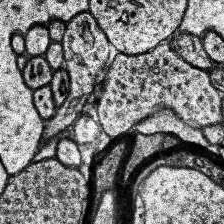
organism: Human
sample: Temporal Lobe